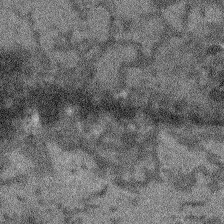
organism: Arabidopsis thaliana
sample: Root tip